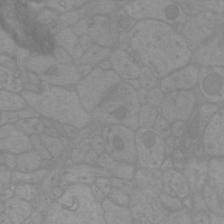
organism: Mouse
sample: Cortical neurons